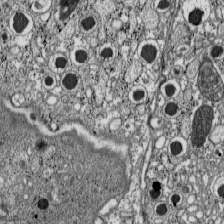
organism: C57BL Mouse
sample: Pancreatic islet